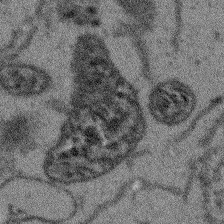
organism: Arabidopsis thaliana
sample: Root tip